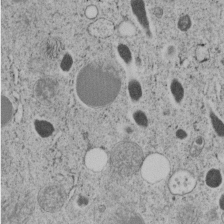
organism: C. elegans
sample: C. elegans embryo early stage